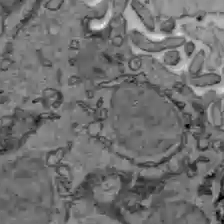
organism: C57BL Mouse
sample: Liver